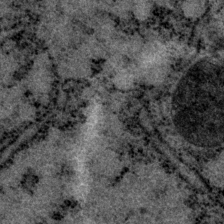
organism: P. pacificus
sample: Pharynx